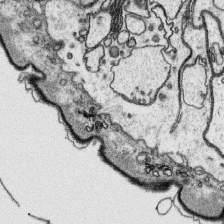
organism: Platynereis dumerilii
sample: Parapodia